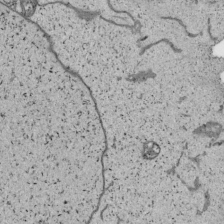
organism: Human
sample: Mitochondria in HCT116 cells